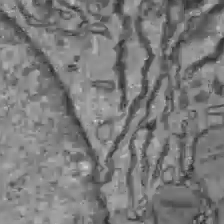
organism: C57BL Mouse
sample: Liver